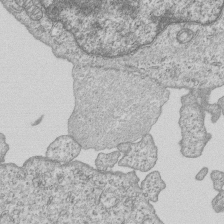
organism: Human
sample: MDA-MB-231 cells